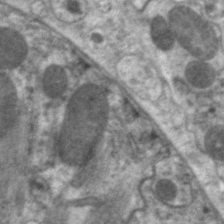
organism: C. elegans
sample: Pharynx